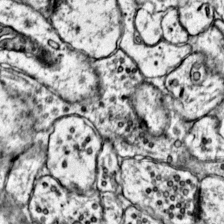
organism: Mouse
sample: Primary visual cortex